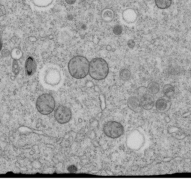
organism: C. elegans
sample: C. elegans embryo early stage